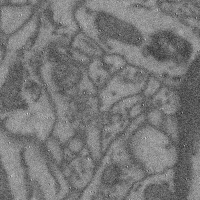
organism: Mouse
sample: Cerebral cortex